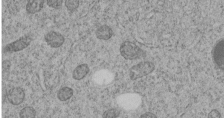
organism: C. elegans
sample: C. elegans embryo early stage